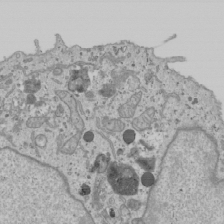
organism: Human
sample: Mitochondria in U2OS cells